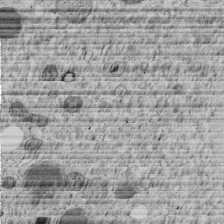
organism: C. elegans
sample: C. elegans embryo early stage